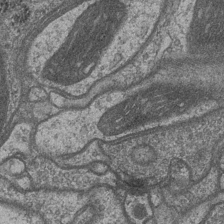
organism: Drosophila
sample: Optic medulla